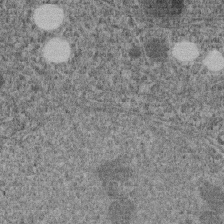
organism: C. elegans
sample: C. elegans embryo early stage